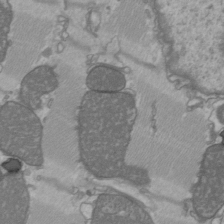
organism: C57BL Mouse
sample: Heart